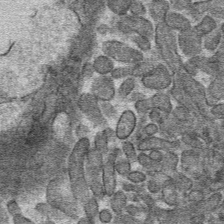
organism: Mouse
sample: Mouse hepatocytes